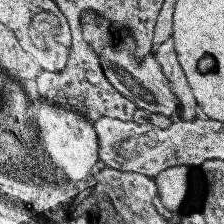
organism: Human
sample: Temporal Lobe